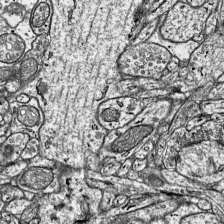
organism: Mouse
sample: Visual Cortex